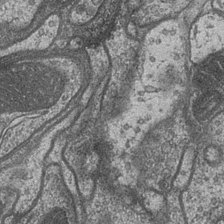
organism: Drosophila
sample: Optic medulla